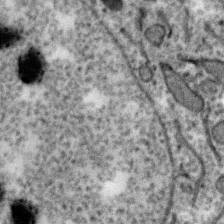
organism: Zebra finch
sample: Brain